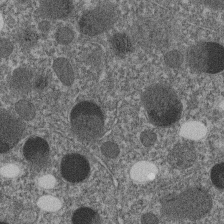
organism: C. elegans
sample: C. elegans embryo early stage